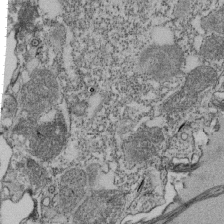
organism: Tetrahymena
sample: Cilia in tetrahymena